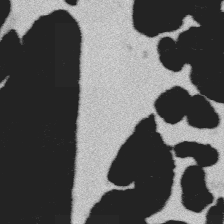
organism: Platynereis dumerilii